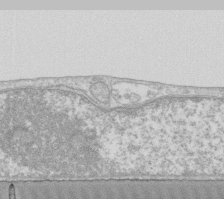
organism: Human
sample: Fibroblast cells